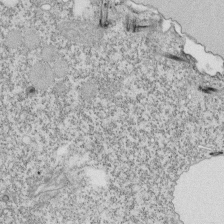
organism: Tetrahymena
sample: Cilia in tetrahymena